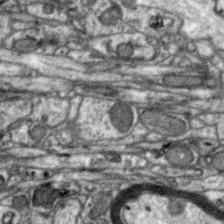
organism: Zebra finch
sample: Brain